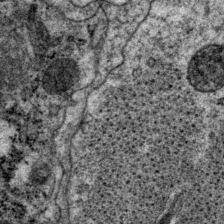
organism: P. pacificus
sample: Pharynx